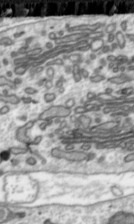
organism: Toxoplasma gondii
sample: Parasites in a vacuole inside a host cell